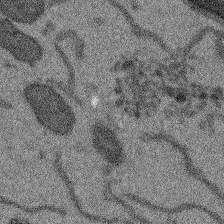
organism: Arabidopsis thaliana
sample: Root tip